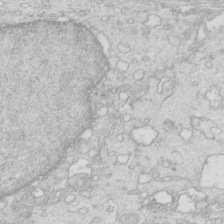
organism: Mouse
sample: Multiciliated cells